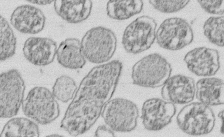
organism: E. coli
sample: Bacterial nucleoid